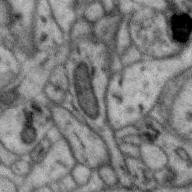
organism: Zebra finch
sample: Brain